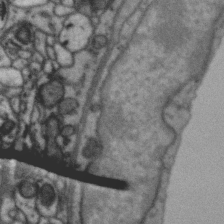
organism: Zebra finch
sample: Brain